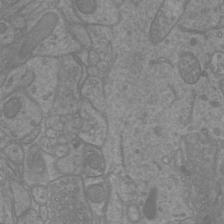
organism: Mouse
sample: Cortical neurons